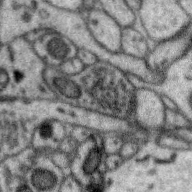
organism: Zebra finch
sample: Brain